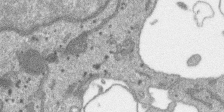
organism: Human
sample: Lung epithelial cells infected with SARS-CoV-2